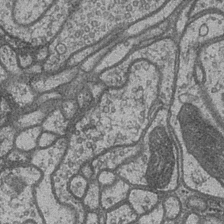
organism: Drosophila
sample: Optic medulla